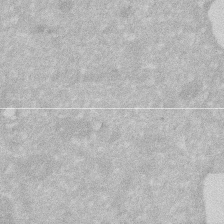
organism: Human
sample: HIV infected U937 cells